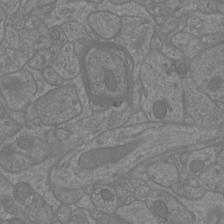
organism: Mouse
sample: Cortical neurons